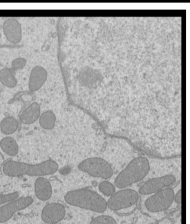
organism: Mouse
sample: Cilia; mouse epididymis